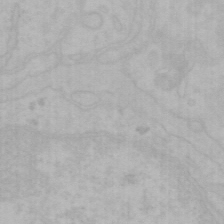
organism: Mouse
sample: Choroid plexus